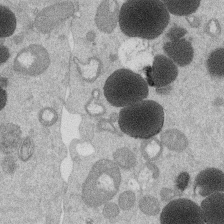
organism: Mouse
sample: Dividing mouse embryo 1 cell stage